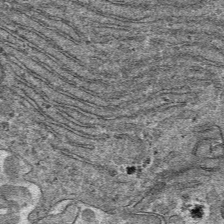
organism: Mouse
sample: Mouse hepatocytes